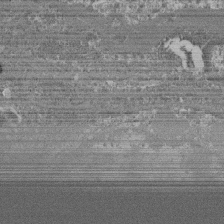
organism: Mouse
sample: Glomerulus